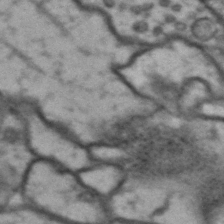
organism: Drosophila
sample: Brain